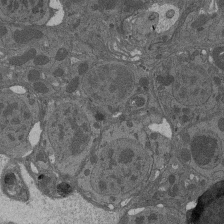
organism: Drosophila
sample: Antenna